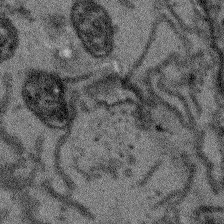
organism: Arabidopsis thaliana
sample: Root tip